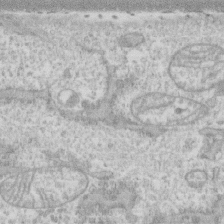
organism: Human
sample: CRL-1474